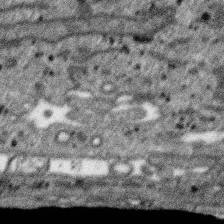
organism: Human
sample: Lung epithelial cells infected with SARS-CoV-2